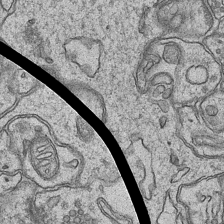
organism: Mouse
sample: CA1 Hippocampus